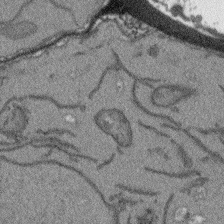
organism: Arabidopsis thaliana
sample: Root tip